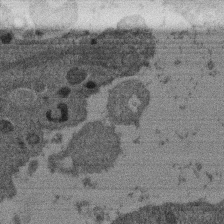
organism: Mouse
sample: Dividing mouse embryo 1 cell stage